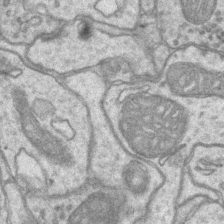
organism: Mouse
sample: CA1 Hippocampus